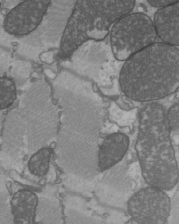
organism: C57BL Mouse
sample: Heart